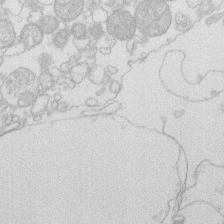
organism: Human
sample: Macrophage cells